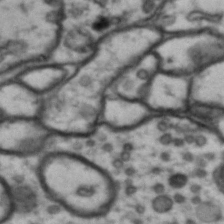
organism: Drosophila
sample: Brain